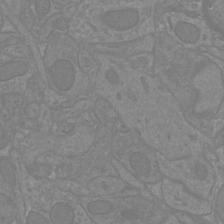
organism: Mouse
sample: Cortical neurons